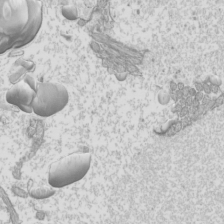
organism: Mouse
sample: Cilia; mouse epididymis